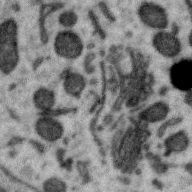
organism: Zebra finch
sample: Brain